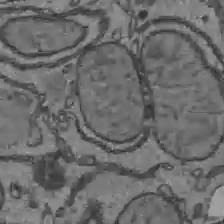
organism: C57BL Mouse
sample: Liver